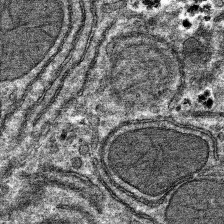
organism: Mouse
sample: Mouse hepatocytes